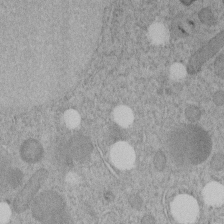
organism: C. elegans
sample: C. elegans embryo early stage